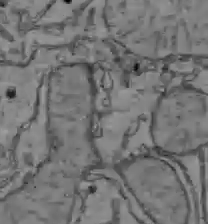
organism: C57BL Mouse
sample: Liver